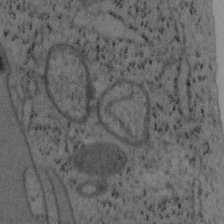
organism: Human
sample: HeLa cells